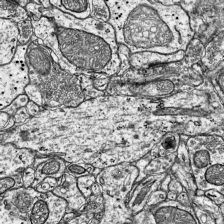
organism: Mouse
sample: Visual Cortex